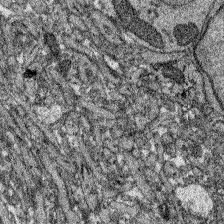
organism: Zebrafish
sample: Larval olfactory bulb